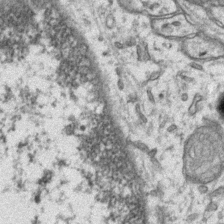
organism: Mouse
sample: CA1 Hippocampus